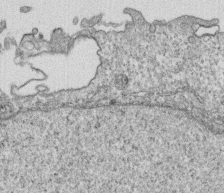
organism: Human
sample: HeLa cell HIV synapse